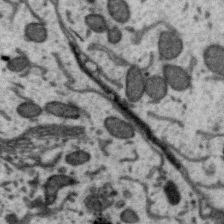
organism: Zebra finch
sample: Brain